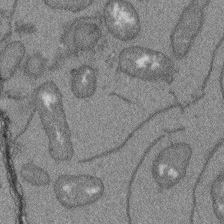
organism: Arabidopsis thaliana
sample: Root tip